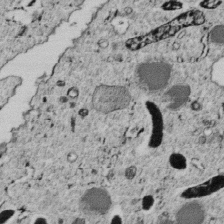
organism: C. elegans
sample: C. elegans embryo early stage